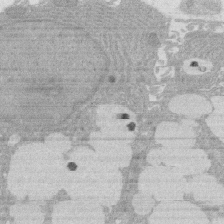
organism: Rat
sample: Salivary granule